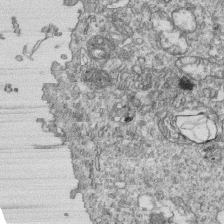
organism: Human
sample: HeLa cell HIV synapse